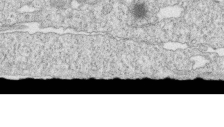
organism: Human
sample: HeLa cell HIV synapse